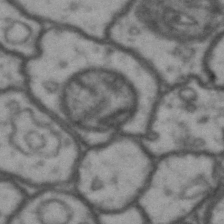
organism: Drosophila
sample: Brain